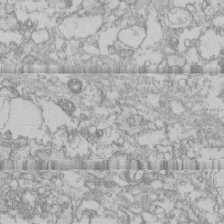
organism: Human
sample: CRL-1474